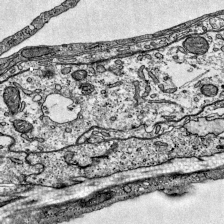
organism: Mouse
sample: Visual Cortex